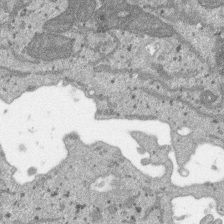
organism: Human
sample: Lung epithelial cells infected with SARS-CoV-2